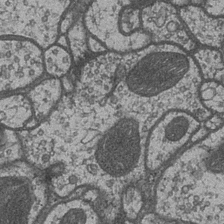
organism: Drosophila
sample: Optic medulla